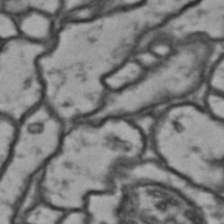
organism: Drosophila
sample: Brain